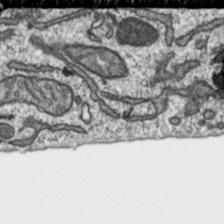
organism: Toxoplasma gondii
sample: Parasites in a vacuole inside a host cell